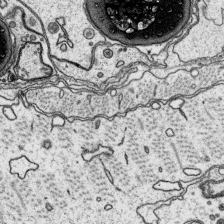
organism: Platynereis dumerilii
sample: Parapodia